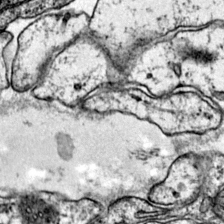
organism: Mouse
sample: Primary visual cortex